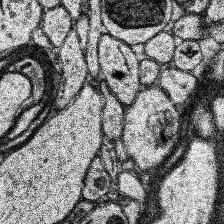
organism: Human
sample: Temporal Lobe